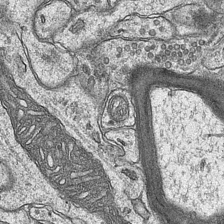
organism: Mouse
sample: CA1 Hippocampus